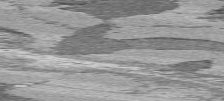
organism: C57BL Mouse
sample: Heart